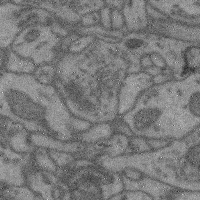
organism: Mouse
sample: Cerebral cortex